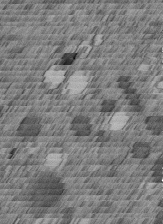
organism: C. elegans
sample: C. elegans embryo early stage